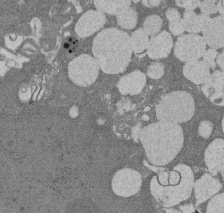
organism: Rat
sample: Salivary granule